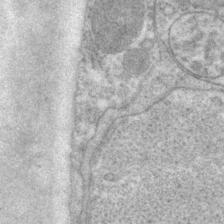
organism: P. pacificus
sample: Pharynx